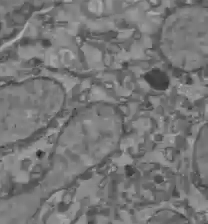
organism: C57BL Mouse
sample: Liver